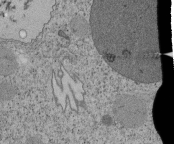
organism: Tetrahymena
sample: Cilia in tetrahymena